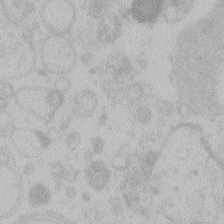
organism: Zebrafish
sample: Macrophage infected with Toxoplasma gondii